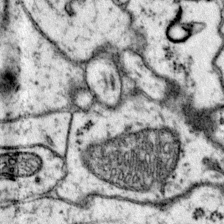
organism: Mouse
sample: Primary visual cortex